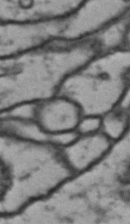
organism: Drosophila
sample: Brain